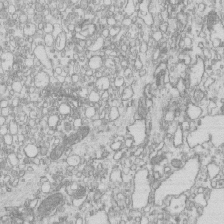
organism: Mouse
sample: Macrophages